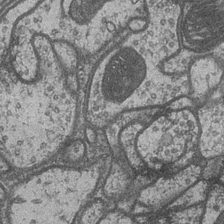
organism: Drosophila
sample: Optic medulla